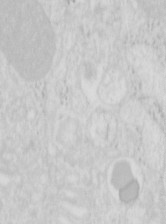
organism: Mouse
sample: Pancreas